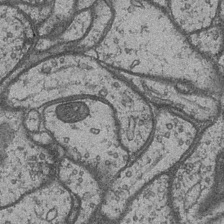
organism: Drosophila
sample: Optic medulla